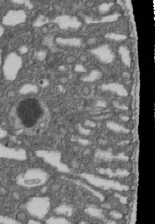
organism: Drosophila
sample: Nephrocyte